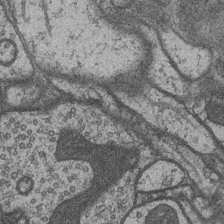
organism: Drosophila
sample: Optic medulla